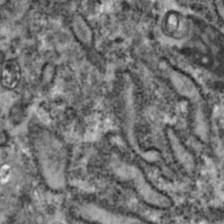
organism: Zebrafish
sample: Zebrafish embryo